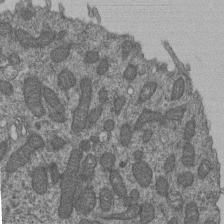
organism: Human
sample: Retinal organoid Rod and Cone cells